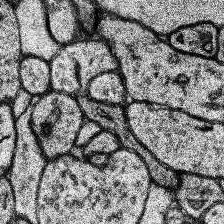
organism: Human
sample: Temporal Lobe